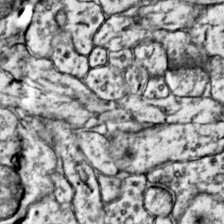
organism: Mouse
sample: Primary visual cortex